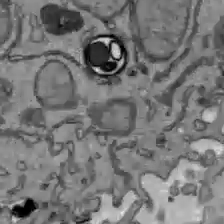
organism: C57BL Mouse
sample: Liver